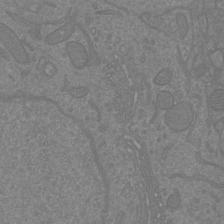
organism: Mouse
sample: Cortical neurons